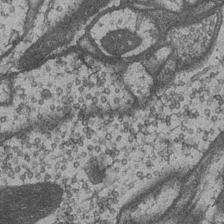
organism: Drosophila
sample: Optic medulla